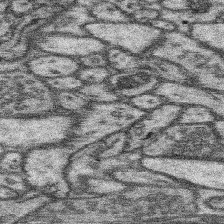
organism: Mouse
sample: Somatosensory cortex neuropil